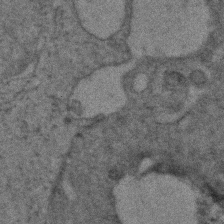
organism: Zebrafish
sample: Zebrafish embryo